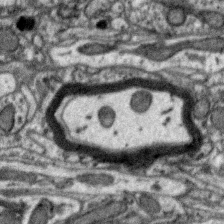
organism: Zebra finch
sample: Brain